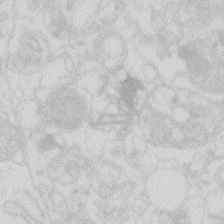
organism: Zebrafish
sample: Macrophage